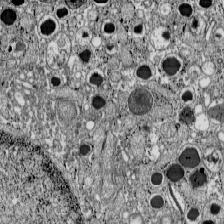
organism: C57BL Mouse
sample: Pancreatic islet